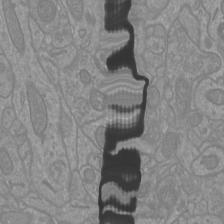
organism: Mouse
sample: Cortical neurons